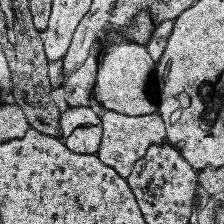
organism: Human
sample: Temporal Lobe